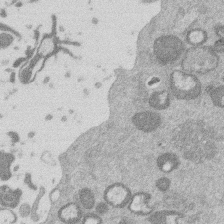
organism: Mouse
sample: Dividing mouse embryo 1 cell stage